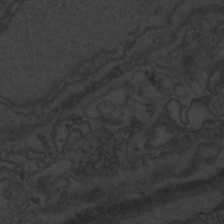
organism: Zebrafish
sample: Macrophage infected with Toxoplasma gondii